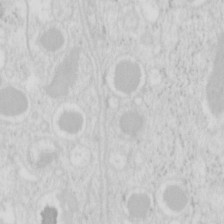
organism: Mouse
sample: Pancreas